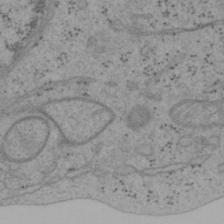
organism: Human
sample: HeLa cells